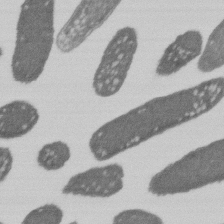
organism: E. coli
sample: Bacterial nucleoid